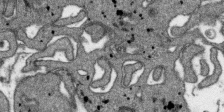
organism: Human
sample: Lung epithelial cells, uninfected (mock) control